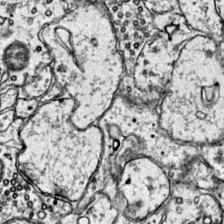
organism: Mouse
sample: Primary visual cortex